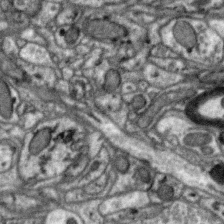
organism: Zebra finch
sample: Brain